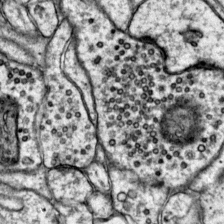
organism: Mouse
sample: Primary visual cortex